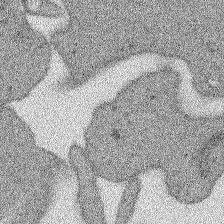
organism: Human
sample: HeLa cells